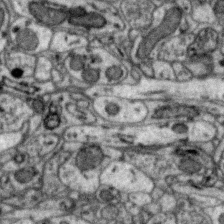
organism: Zebra finch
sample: Brain